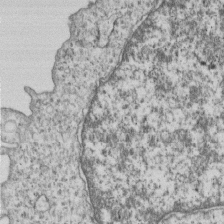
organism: Human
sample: MDA-MB-231 cells